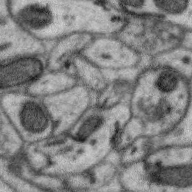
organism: Zebra finch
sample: Brain